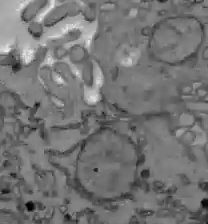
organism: C57BL Mouse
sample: Liver